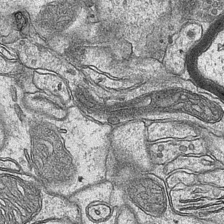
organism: Mouse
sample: CA1 Hippocampus